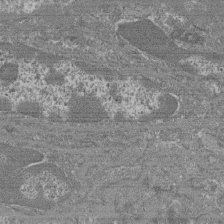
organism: Mouse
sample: Glomerulus